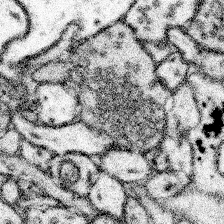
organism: Mouse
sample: Somatosensory cortex neuropil